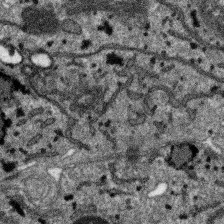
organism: Human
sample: Lung epithelial cells infected with SARS-CoV-2